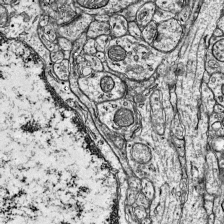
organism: Mouse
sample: Visual Cortex